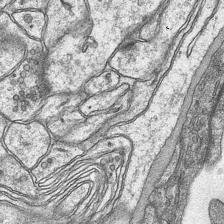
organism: Mouse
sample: CA1 Hippocampus